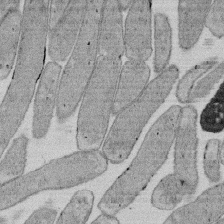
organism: E. coli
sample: Bacterial nucleoid